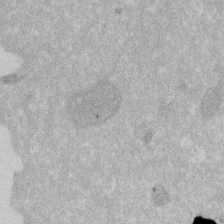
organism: Human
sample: HIV infected U937 cells